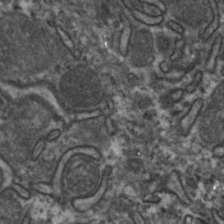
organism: Zebrafish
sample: Zebrafish embryo